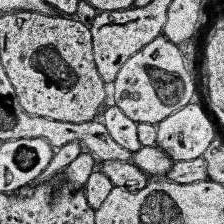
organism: Human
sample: Temporal Lobe